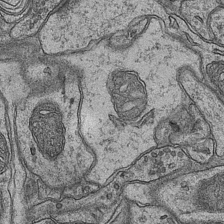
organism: Mouse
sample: CA1 Hippocampus